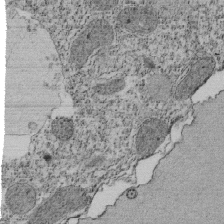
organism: Tetrahymena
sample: Cilia in tetrahymena